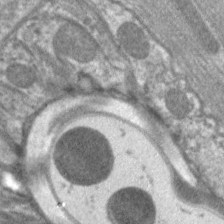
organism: C. elegans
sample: Pharynx